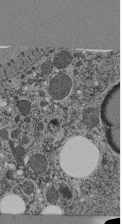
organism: C. elegans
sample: C. elegans pharynx